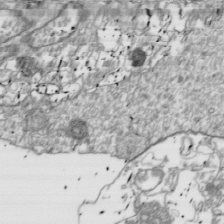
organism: Drosophila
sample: Cell division; meiosis; drosophila spermatocytes